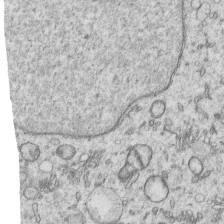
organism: Human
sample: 1205lu cells